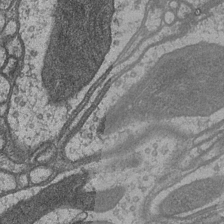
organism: Drosophila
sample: Optic medulla